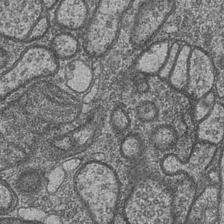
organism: Drosophila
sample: Optic medulla